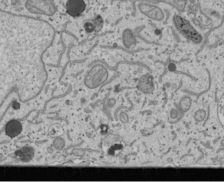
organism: Human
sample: Mitochondria in U2OS cells